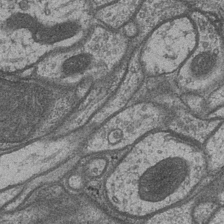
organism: Drosophila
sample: Optic medulla